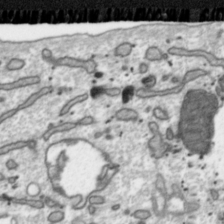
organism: Toxoplasma gondii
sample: Parasites in a vacuole inside a host cell